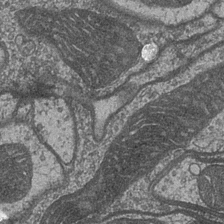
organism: Drosophila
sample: Optic medulla